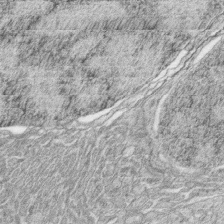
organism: Zebrafish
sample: synaptic ribbons in rod cells and cone cells